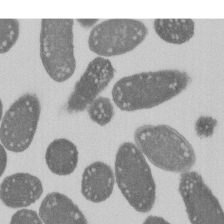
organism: E. coli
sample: Bacterial nucleoid